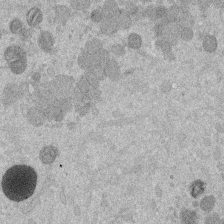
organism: Mouse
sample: Dividing mouse embryo 1 cell stage